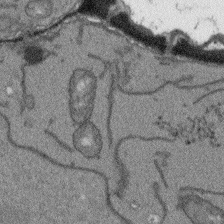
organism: Arabidopsis thaliana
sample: Root tip